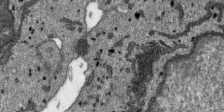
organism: Human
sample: Lung epithelial cells, uninfected (mock) control